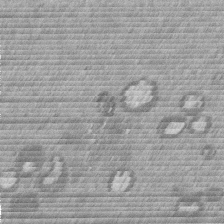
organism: Mouse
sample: Dividing mouse embryo 1 cell stage